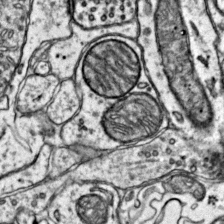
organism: Mouse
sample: Primary visual cortex